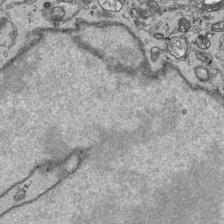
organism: Human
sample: Mitochondria in HCT116 cells